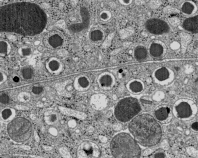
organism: C57BL Mouse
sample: Pancreatic islet